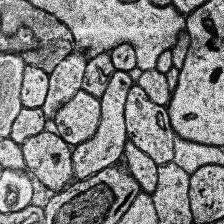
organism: Human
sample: Temporal Lobe